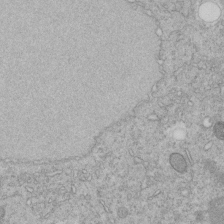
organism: C. elegans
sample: C. elegans embryo early stage